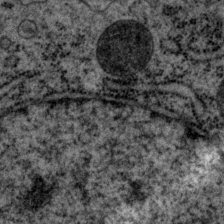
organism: P. pacificus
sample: Pharynx